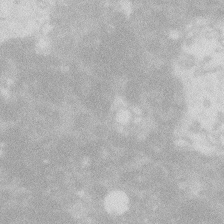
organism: Zebrafish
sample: Macrophage